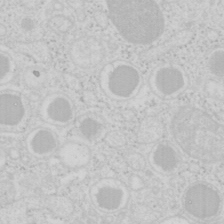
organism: Mouse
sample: Pancreas